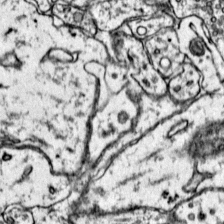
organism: Mouse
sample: Primary visual cortex